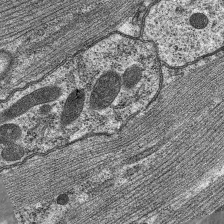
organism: C. elegans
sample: Pharynx